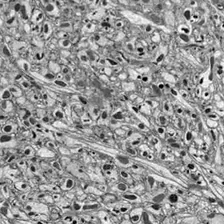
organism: Drosophila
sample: Optic lobe